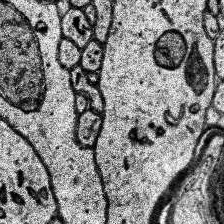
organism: Human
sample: Temporal Lobe